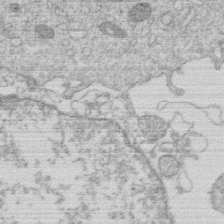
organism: Human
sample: Macrophage cells